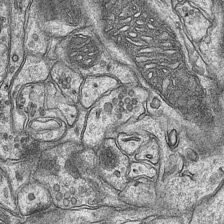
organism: Mouse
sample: CA1 Hippocampus